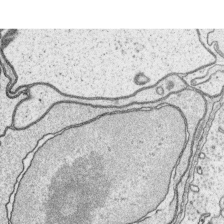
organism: Platynereis dumerilii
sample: Parapodia